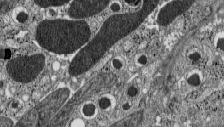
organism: C57BL Mouse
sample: Pancreatic islet